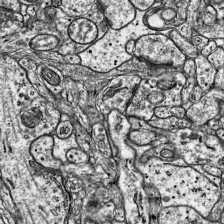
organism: Mouse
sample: Visual Cortex